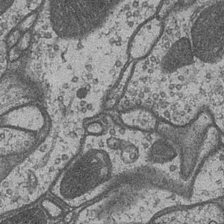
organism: Drosophila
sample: Optic medulla